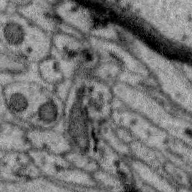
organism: Zebra finch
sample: Brain